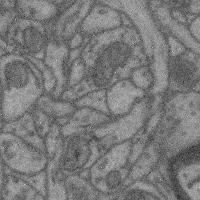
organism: Mouse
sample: Cerebral cortex